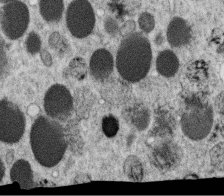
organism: C. elegans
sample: C. elegans oocyte; sperm cells